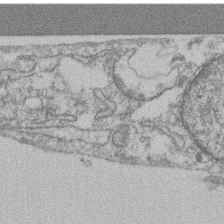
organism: Mouse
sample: T cell stromal cell synapse